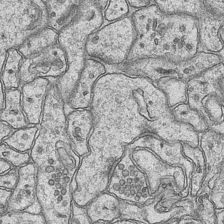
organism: Mouse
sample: CA1 Hippocampus